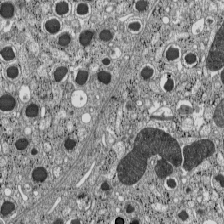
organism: C57BL Mouse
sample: Pancreatic islet